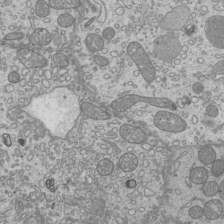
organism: Mouse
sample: Cilia; mouse epididymis